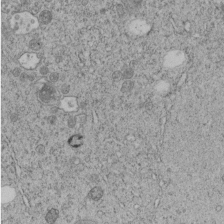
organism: C. elegans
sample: C. elegans embryo early stage